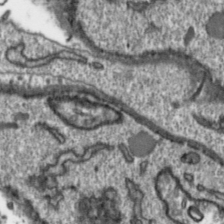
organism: Toxoplasma gondii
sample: Parasites in a vacuole inside a host cell